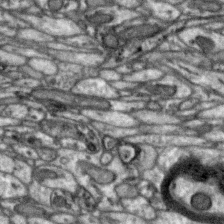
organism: Zebra finch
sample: Brain